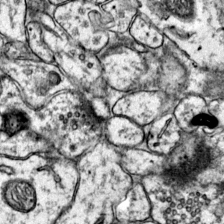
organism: Mouse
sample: Primary visual cortex